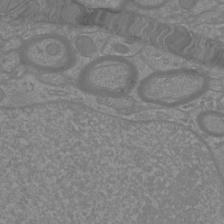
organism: Mouse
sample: Cortical neurons